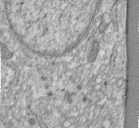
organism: Human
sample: Centriole in fibroblast cells